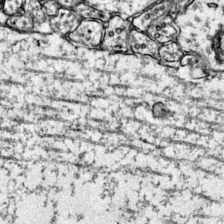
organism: Mouse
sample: Primary visual cortex